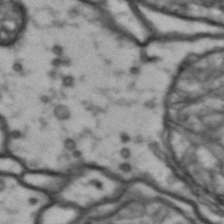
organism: Drosophila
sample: Brain